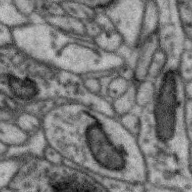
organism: Zebra finch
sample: Brain